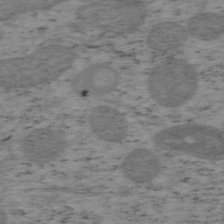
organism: Mouse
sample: OT-I killer T cells with ID8 ovarian cancer cells